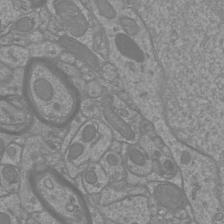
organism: Mouse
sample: Cortical neurons